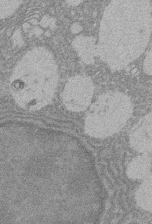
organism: Rat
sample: Salivary granule